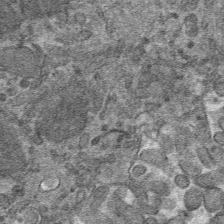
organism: Mouse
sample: Mouse hepatocytes